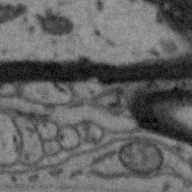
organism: Zebra finch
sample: Brain